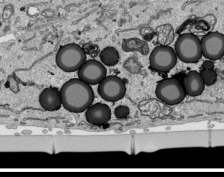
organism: Human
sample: Mitochondria in HCT116 cells